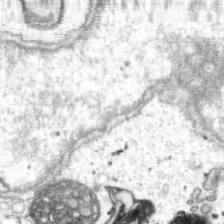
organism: Human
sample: HeLa cells